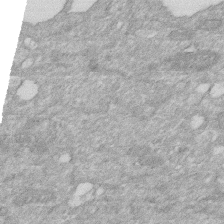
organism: Human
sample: HIV infected U937 cells